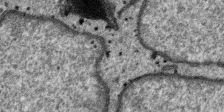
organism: Human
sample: Lung epithelial cells, uninfected (mock) control